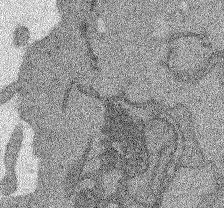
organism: Human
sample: HeLa cells